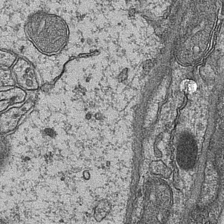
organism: Mouse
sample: CA1 Hippocampus